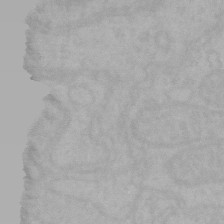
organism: Mouse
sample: Choroid plexus